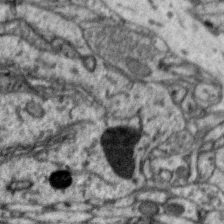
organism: Zebra finch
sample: Brain